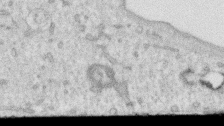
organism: Human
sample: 1205lu cells